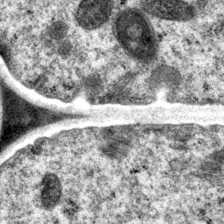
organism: P. pacificus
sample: Pharynx